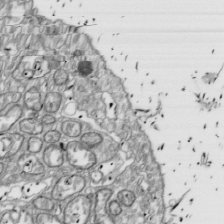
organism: Drosophila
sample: Cell division; meiosis; drosophila spermatocytes